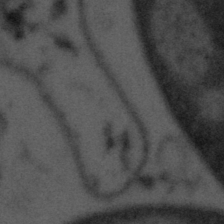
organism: Tuwongella immobilis